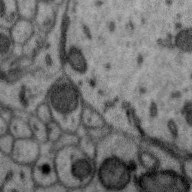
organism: Zebra finch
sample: Brain